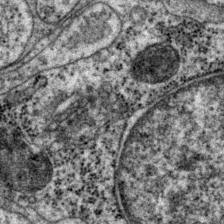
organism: P. pacificus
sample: Pharynx